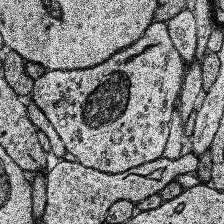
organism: Human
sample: Temporal Lobe